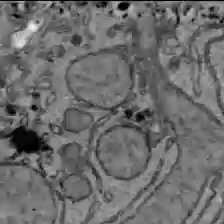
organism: C57BL Mouse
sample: Liver